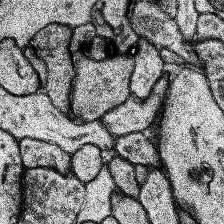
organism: Human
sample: Temporal Lobe